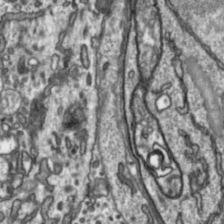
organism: Toxoplasma gondii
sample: Parasites in a vacuole inside a host cell